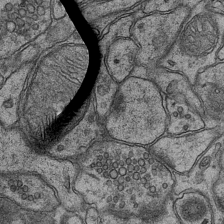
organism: Mouse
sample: CA1 Hippocampus